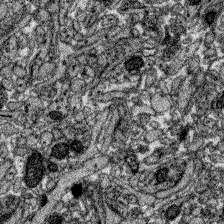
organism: Zebrafish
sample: Larval olfactory bulb